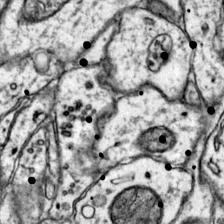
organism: Mouse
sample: Primary visual cortex